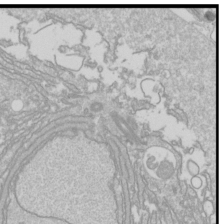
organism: Drosophila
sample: Cell division; meiosis; drosophila spermatocytes